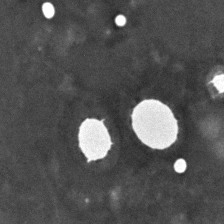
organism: C. elegans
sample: C. elegans embryo